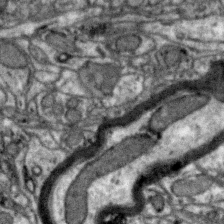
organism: Zebra finch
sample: Brain